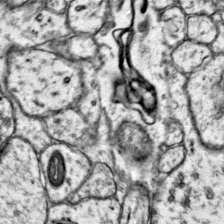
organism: Mouse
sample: Primary visual cortex